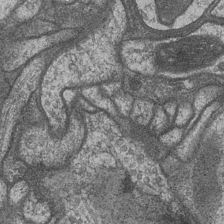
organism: Drosophila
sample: Optic medulla